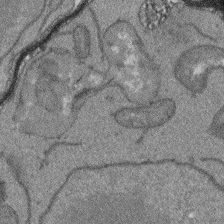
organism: Arabidopsis thaliana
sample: Root tip